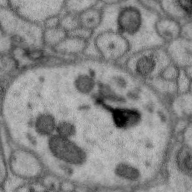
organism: Zebra finch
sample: Brain